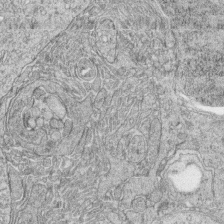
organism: Zebrafish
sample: synaptic ribbons in rod cells and cone cells